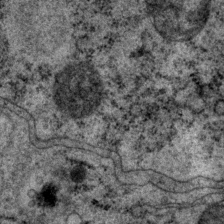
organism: P. pacificus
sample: Pharynx